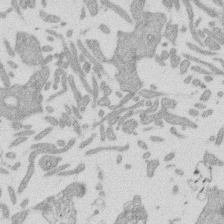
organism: Mouse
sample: Dividing mouse embryo 1 cell stage